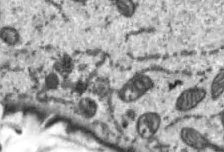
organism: Human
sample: HeLa cells